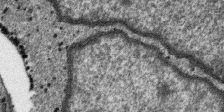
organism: Human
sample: Lung epithelial cells infected with SARS-CoV-2